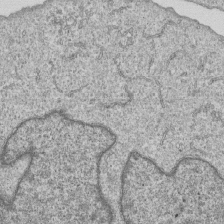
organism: Human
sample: MDA-MB-231 cells